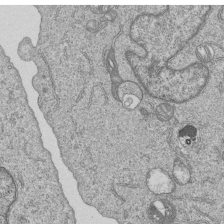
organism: Human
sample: MDA-MB-231 cells